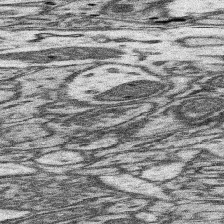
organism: Mouse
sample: Somatosensory cortex neuropil